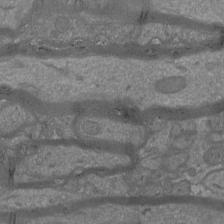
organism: Mouse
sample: Cortical neurons